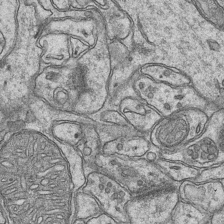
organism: Mouse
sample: CA1 Hippocampus